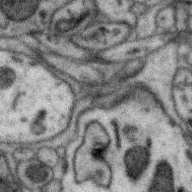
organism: Zebra finch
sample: Brain